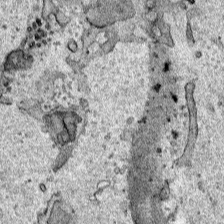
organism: Human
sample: Mitochondria in HCT116 cells